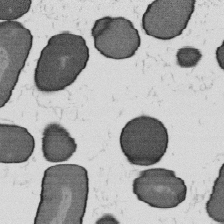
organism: B. subtilis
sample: Bacterial spore